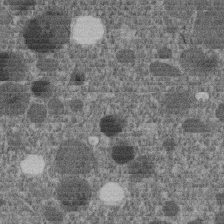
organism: C. elegans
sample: C. elegans embryo early stage